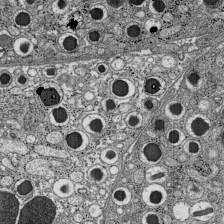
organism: C57BL Mouse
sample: Pancreatic islet